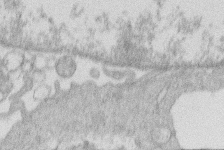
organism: Human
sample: Macrophage cells